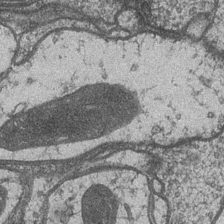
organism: Drosophila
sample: Optic medulla